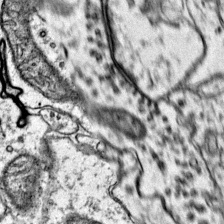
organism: Mouse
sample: Primary visual cortex